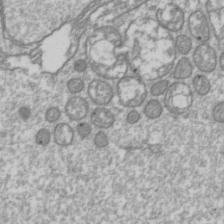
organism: Drosophila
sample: Cell division; meiosis; drosophila spermatocytes